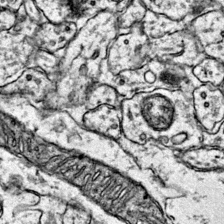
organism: Mouse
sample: Primary visual cortex